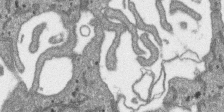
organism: Human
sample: Lung epithelial cells infected with SARS-CoV-2